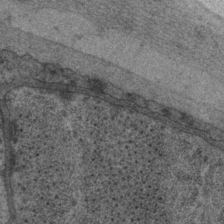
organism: P. pacificus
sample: Pharynx